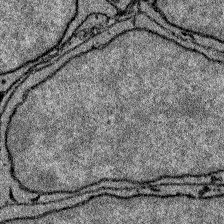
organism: Zebrafish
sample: Larval olfactory bulb